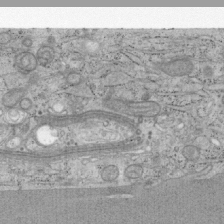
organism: Human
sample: HeLa cells